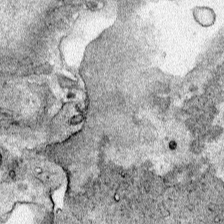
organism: Human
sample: Mitochondria in HCT116 cells